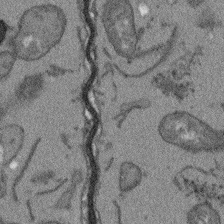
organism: Arabidopsis thaliana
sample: Root tip